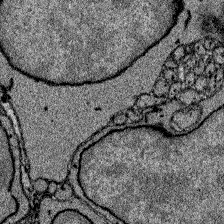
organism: Zebrafish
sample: Larval olfactory bulb